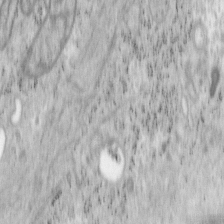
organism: Human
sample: HeLa cells